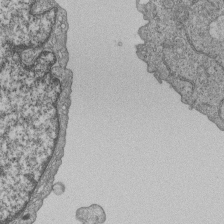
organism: Human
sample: MDA-MB-231 cells